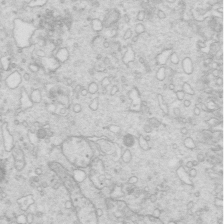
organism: Mouse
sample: Multiciliated cells